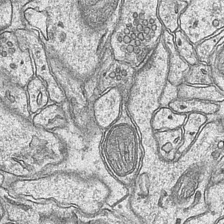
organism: Mouse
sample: CA1 Hippocampus